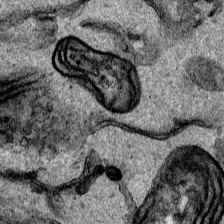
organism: Human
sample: Mitochondria in HCT116 cells